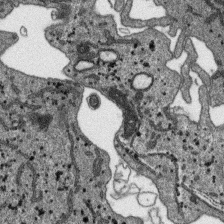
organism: Human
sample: Lung epithelial cells infected with SARS-CoV-2